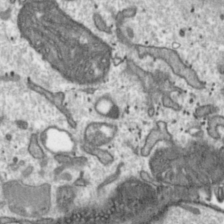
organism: Toxoplasma gondii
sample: Parasites in a vacuole inside a host cell